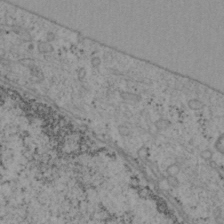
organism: Human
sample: HeLa cells